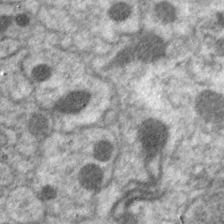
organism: C. elegans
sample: Pharynx